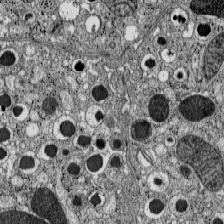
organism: C57BL Mouse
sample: Pancreatic islet